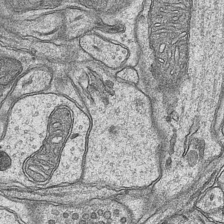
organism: Mouse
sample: CA1 Hippocampus